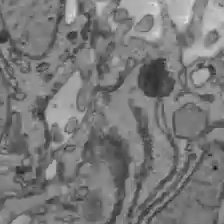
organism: C57BL Mouse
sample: Liver